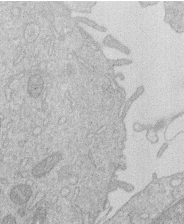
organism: Human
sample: Macrophage cells